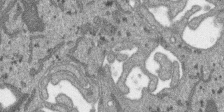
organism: Human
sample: Lung epithelial cells infected with SARS-CoV-2